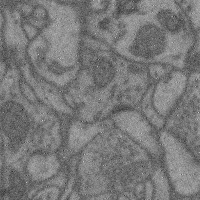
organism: Mouse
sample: Cerebral cortex